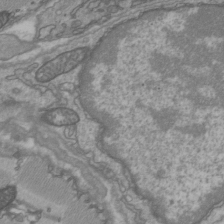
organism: C57BL Mouse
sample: Heart